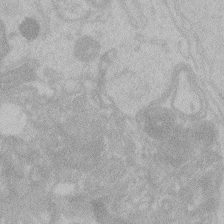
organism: Zebrafish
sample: Macrophage infected with Toxoplasma gondii